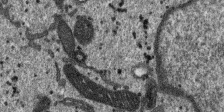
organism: Human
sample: Lung epithelial cells infected with SARS-CoV-2